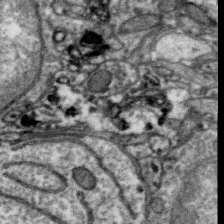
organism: Zebra finch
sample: Brain